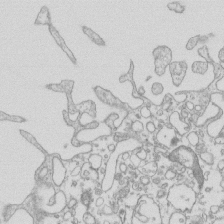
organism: Mouse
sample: Macrophages